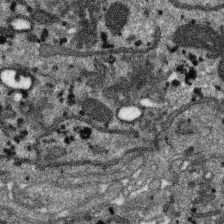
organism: Human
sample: Lung epithelial cells infected with SARS-CoV-2